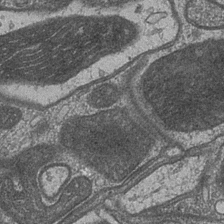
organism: Drosophila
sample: Optic medulla